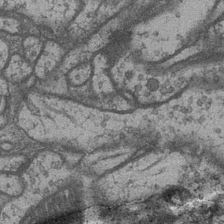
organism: Drosophila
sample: Optic medulla